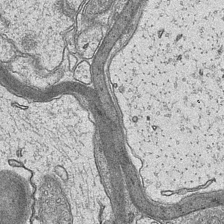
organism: Mouse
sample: CA1 Hippocampus